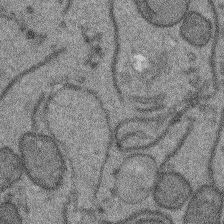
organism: Arabidopsis thaliana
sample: Root tip